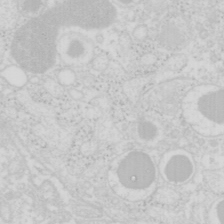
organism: Mouse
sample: Pancreas